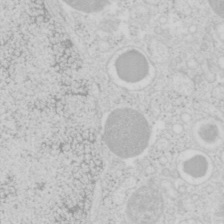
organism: Mouse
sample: Pancreas